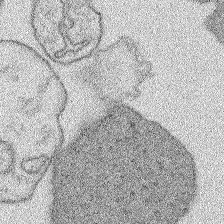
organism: Human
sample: HeLa cells